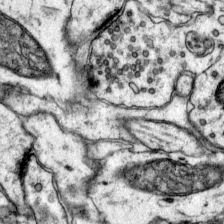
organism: Mouse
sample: Primary visual cortex